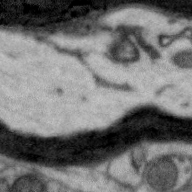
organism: Zebra finch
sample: Brain